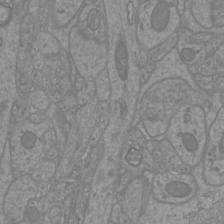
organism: Mouse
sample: Cortical neurons